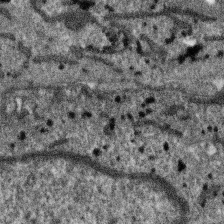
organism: Human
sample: Lung epithelial cells infected with SARS-CoV-2